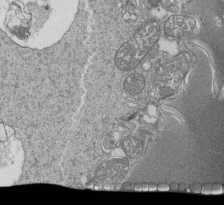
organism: Tetrahymena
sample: Cilia in tetrahymena